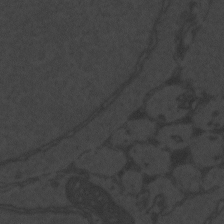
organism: Zebrafish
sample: Macrophage infected with Toxoplasma gondii